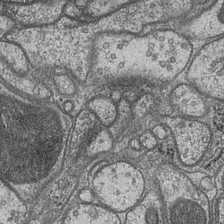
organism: Drosophila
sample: Optic medulla